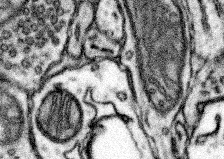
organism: Mouse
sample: Somatosensory cortex neuropil